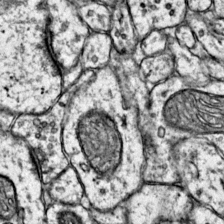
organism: Mouse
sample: Primary visual cortex